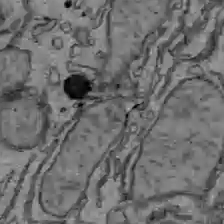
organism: C57BL Mouse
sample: Liver